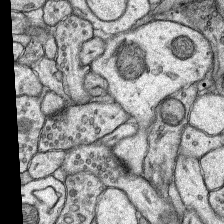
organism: Rat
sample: Hippocampus